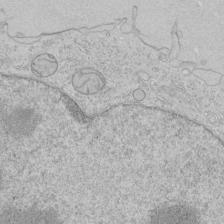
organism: Human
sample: Mitochondria in HCT116 cells